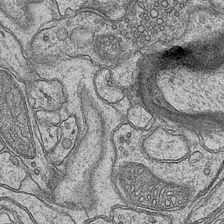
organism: Mouse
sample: CA1 Hippocampus